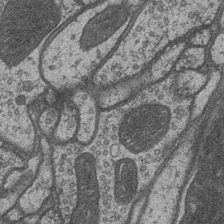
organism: Drosophila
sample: Optic medulla